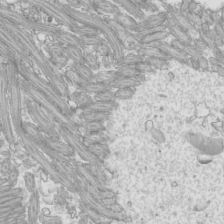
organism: Mouse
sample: Cilia; mouse epididymis